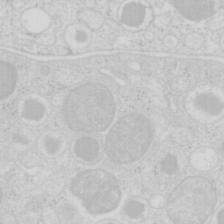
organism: Mouse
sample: Pancreas